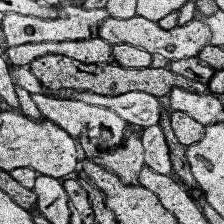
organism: Human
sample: Temporal Lobe